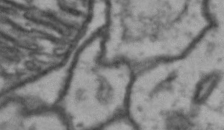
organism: Drosophila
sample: Brain